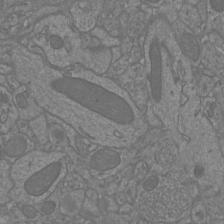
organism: Mouse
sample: Cortical neurons